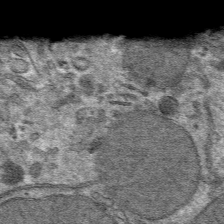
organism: Mouse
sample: Mouse hepatocytes